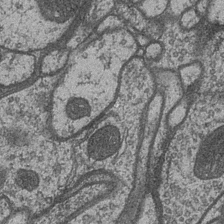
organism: Drosophila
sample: Optic medulla